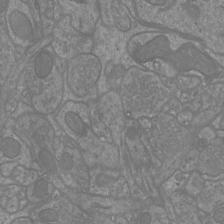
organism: Mouse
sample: Cortical neurons